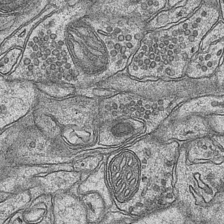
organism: Mouse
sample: CA1 Hippocampus